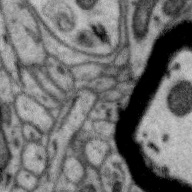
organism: Zebra finch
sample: Brain